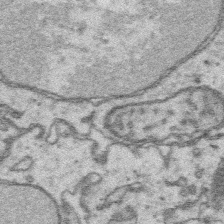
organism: Platynereis dumerilii